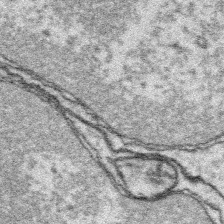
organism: Platynereis dumerilii